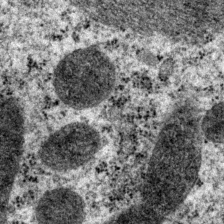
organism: P. pacificus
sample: Pharynx